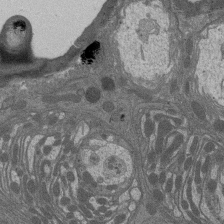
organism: Drosophila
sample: Antenna